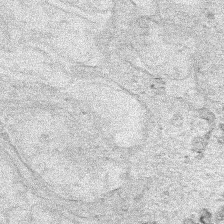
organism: Human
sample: Mitochondria in HCT116 cells